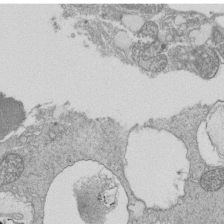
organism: Tetrahymena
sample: Cilia in tetrahymena